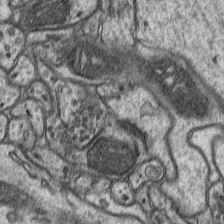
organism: Mouse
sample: CA1 Hippocampus